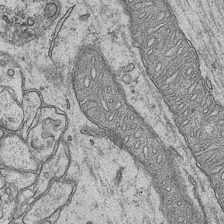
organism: Mouse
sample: CA1 Hippocampus